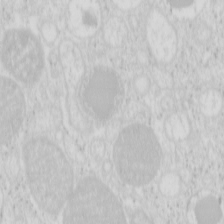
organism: Mouse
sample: Pancreas